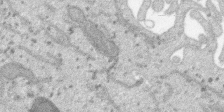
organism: Human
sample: Lung epithelial cells infected with SARS-CoV-2